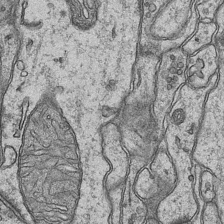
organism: Mouse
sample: CA1 Hippocampus